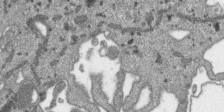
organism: Human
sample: Lung epithelial cells infected with SARS-CoV-2